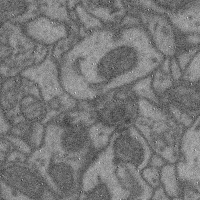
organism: Mouse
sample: Cerebral cortex